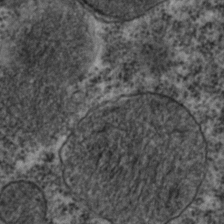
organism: C. elegans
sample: C. elegans embryo